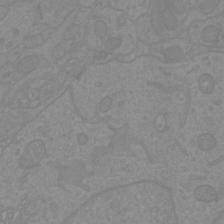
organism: Mouse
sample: Cortical neurons